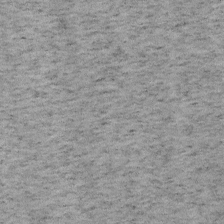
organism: Mouse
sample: OT-I killer T cells with ID8 ovarian cancer cells